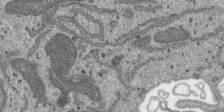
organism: Human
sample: Lung epithelial cells infected with SARS-CoV-2